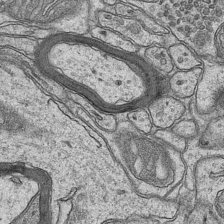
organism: Mouse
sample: CA1 Hippocampus